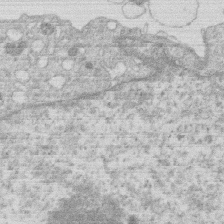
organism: Human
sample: Macrophage cells